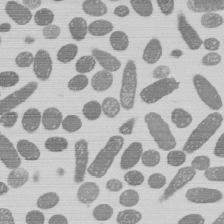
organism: E. coli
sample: Bacterial nucleoid